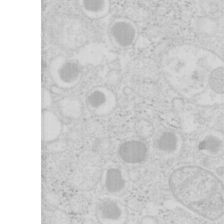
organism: Mouse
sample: Pancreas